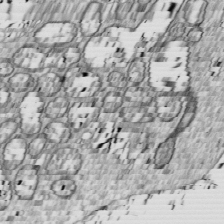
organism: Drosophila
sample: Cell division; meiosis; drosophila spermatocytes